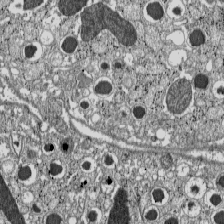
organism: C57BL Mouse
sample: Pancreatic islet